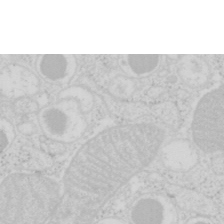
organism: Mouse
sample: Pancreas